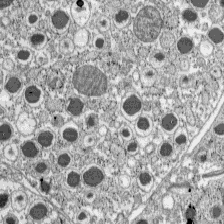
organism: C57BL Mouse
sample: Pancreatic islet